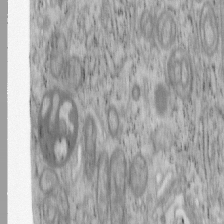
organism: Human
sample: HeLa cells